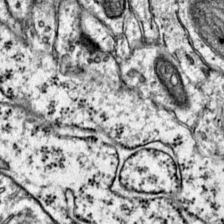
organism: Mouse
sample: Primary visual cortex